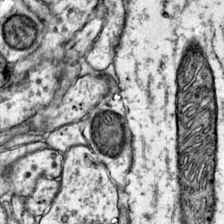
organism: Mouse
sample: Primary visual cortex